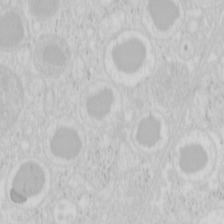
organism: Mouse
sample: Pancreas